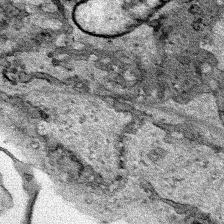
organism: Human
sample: Mitochondria in HCT116 cells